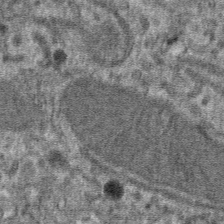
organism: Mouse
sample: Mouse hepatocytes